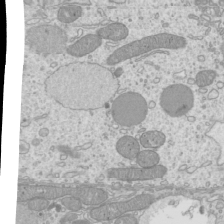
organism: Mouse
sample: Cilia; mouse epididymis